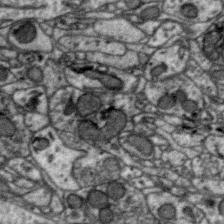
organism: Zebra finch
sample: Brain